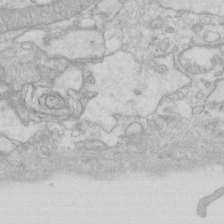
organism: Human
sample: Fibroblast cells